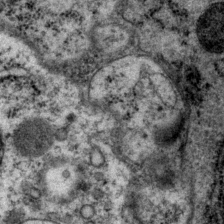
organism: P. pacificus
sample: Pharynx